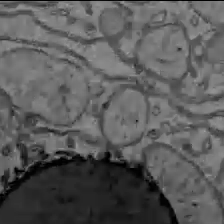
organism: C57BL Mouse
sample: Liver